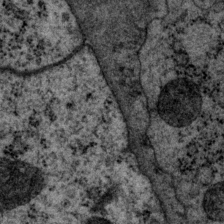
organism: P. pacificus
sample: Pharynx